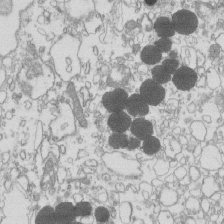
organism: Mouse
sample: Macrophages